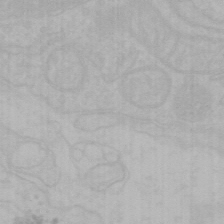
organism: Mouse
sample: Choroid plexus